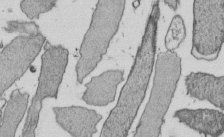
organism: E. coli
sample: Bacterial nucleoid